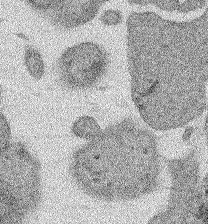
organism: Human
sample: HeLa cells